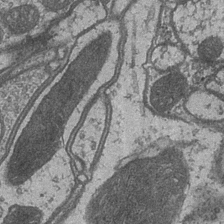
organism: Drosophila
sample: Optic medulla